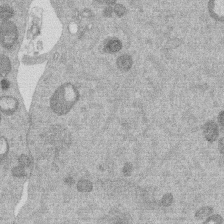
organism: Mouse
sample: Dividing mouse embryo 1 cell stage